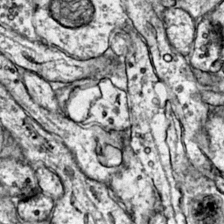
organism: Mouse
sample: Primary visual cortex